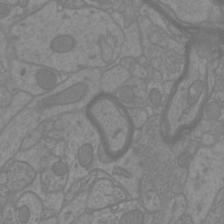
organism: Mouse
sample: Cortical neurons